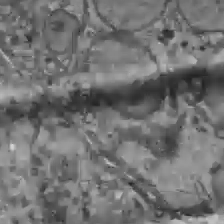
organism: C57BL Mouse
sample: Liver